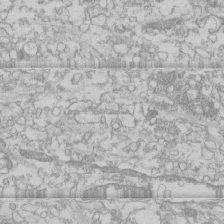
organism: Human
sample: CRL-1474